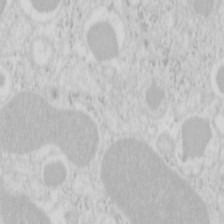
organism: Mouse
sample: Pancreas